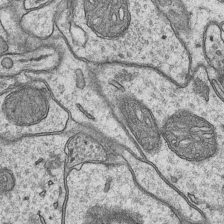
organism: Mouse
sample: CA1 Hippocampus